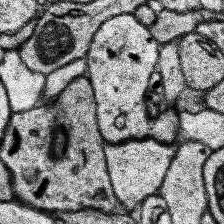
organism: Human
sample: Temporal Lobe